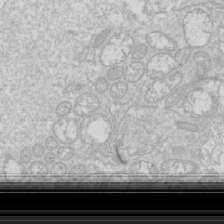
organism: Drosophila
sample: Cell division; meiosis; drosophila spermatocytes